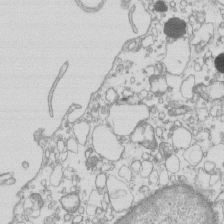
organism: Mouse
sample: Macrophages